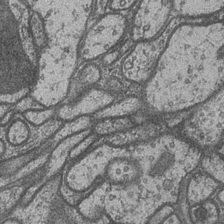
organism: Drosophila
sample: Optic medulla